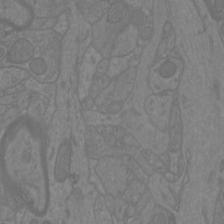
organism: Mouse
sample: Cortical neurons